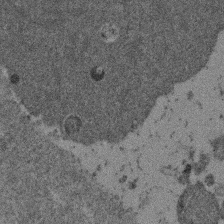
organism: Mouse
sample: Dividing mouse embryo 1 cell stage